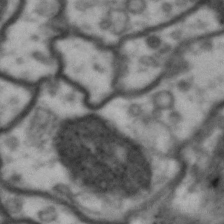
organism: Drosophila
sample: Brain